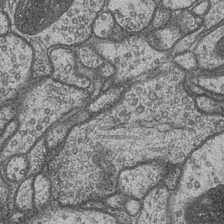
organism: Drosophila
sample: Optic medulla